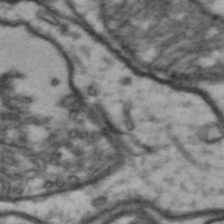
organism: Drosophila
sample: Brain